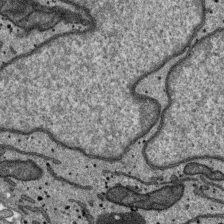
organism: Human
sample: Lung epithelial cells, uninfected (mock) control